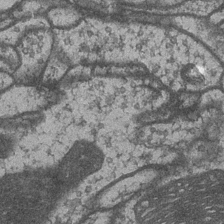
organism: Drosophila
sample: Optic medulla